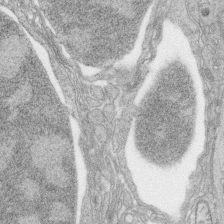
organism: Zebrafish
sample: synaptic ribbons in rod cells and cone cells